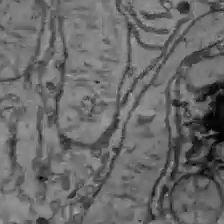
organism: C57BL Mouse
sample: Liver